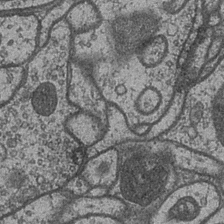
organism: Drosophila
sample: Optic medulla